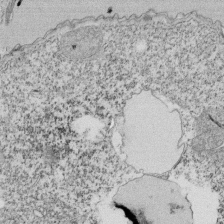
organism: Tetrahymena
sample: Cilia in tetrahymena